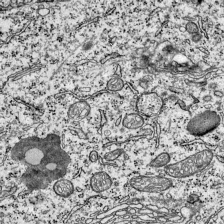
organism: Mouse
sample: Visual Cortex